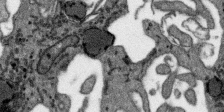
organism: Human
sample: Lung epithelial cells, uninfected (mock) control